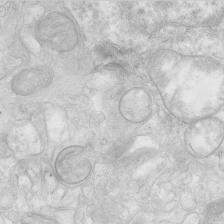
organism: Human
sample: Neocortex